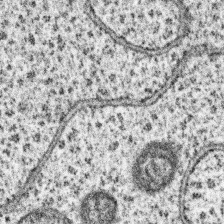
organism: Human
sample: HeLa cells